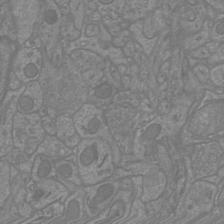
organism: Mouse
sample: Cortical neurons